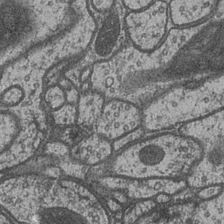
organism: Drosophila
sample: Optic medulla